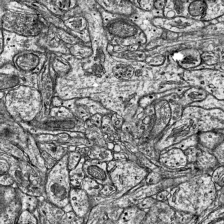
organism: Mouse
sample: Visual Cortex